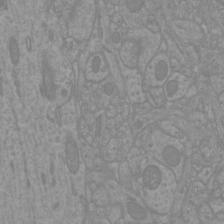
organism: Mouse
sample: Cortical neurons